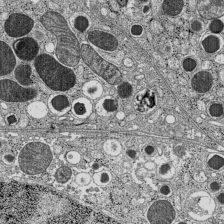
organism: C57BL Mouse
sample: Pancreatic islet